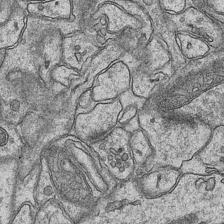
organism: Mouse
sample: CA1 Hippocampus